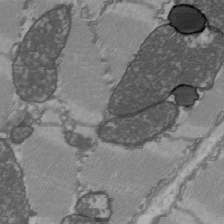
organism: C57BL Mouse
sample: Heart